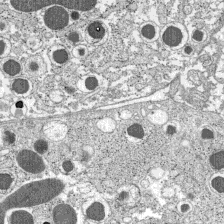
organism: C57BL Mouse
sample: Pancreatic islet